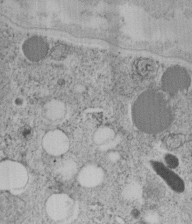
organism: C. elegans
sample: C. elegans embryo early stage